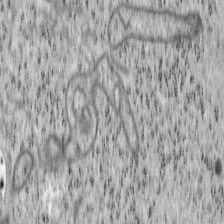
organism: Human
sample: HeLa cells